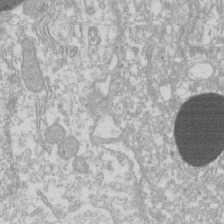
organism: Xenopus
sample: Cilia; centrioles in frog embryo cells